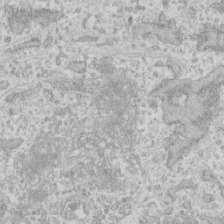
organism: Human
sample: Fibroblast cells